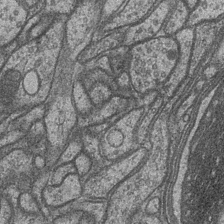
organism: Drosophila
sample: Optic medulla